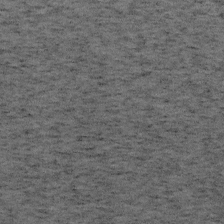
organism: Mouse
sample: OT-I killer T cells with ID8 ovarian cancer cells